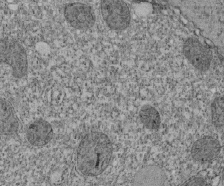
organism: Tetrahymena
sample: Cilia in tetrahymena